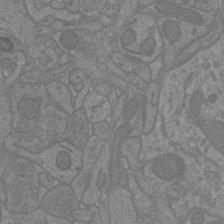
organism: Mouse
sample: Cortical neurons